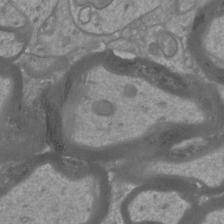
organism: Mouse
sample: Cortical neurons